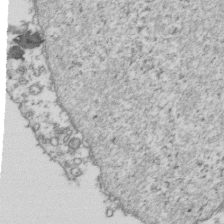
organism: Human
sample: Activated Jurkat CD4+ T cells